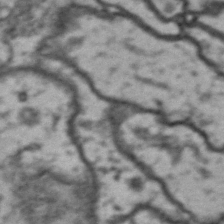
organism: Drosophila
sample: Brain